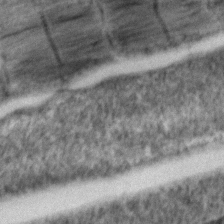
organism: Zebrafish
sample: Zebrafish embryo